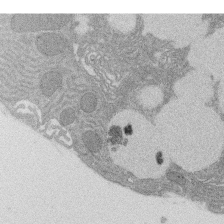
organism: Rat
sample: Salivary granule